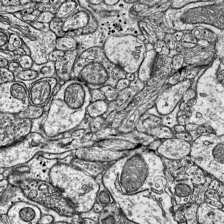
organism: Mouse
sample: Visual Cortex